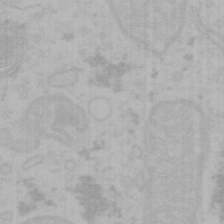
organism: Mouse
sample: Choroid plexus